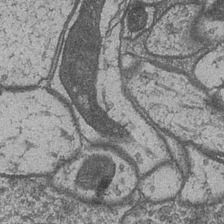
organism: Drosophila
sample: Optic medulla